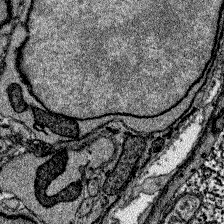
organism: Zebrafish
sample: Larval olfactory bulb